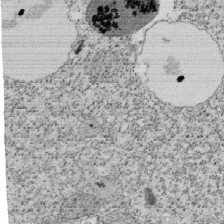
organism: Tetrahymena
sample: Cilia in tetrahymena